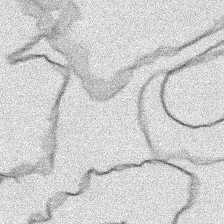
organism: Human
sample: Mitochondria in HCT116 cells